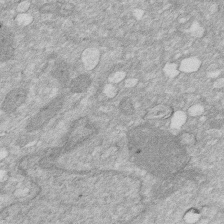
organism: Human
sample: HIV infected U937 cells